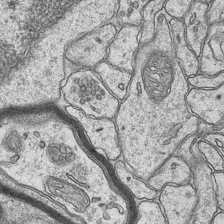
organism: Mouse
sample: CA1 Hippocampus